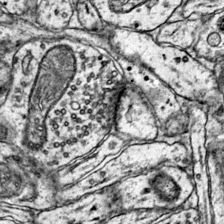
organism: Mouse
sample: Primary visual cortex